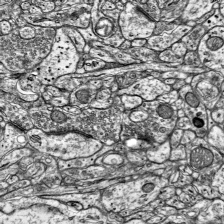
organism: Mouse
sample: Visual Cortex